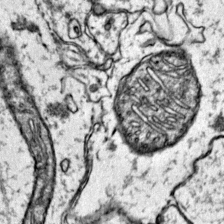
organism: Mouse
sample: Primary visual cortex